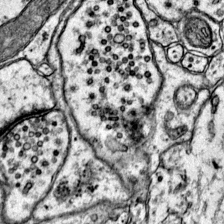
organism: Mouse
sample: Primary visual cortex